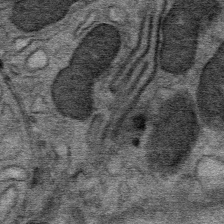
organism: Mouse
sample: Mouse Salivary gland